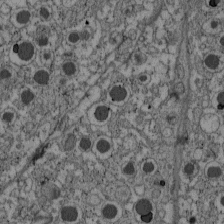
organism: C57BL Mouse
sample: Pancreatic islet